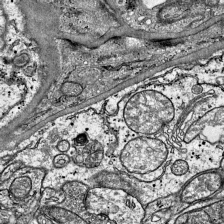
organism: Mouse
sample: Visual Cortex